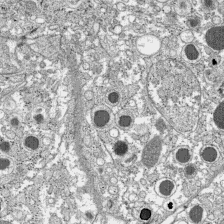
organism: C57BL Mouse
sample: Pancreatic islet